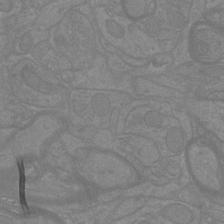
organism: Mouse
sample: Cortical neurons